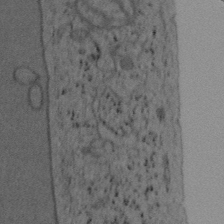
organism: Human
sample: HeLa cells